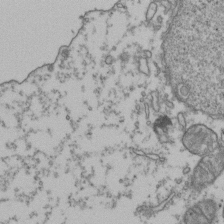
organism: Human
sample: Activated Jurkat CD4+ T cells